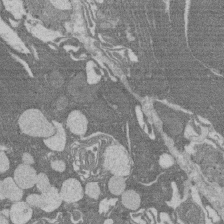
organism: Rat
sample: Salivary granule